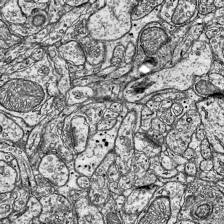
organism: Mouse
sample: Visual Cortex